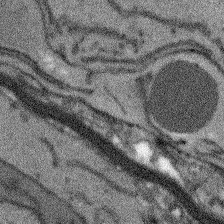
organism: Arabidopsis thaliana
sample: Root tip